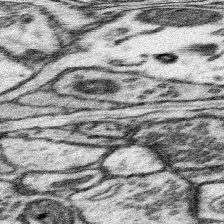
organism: Mouse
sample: Somatosensory cortex neuropil